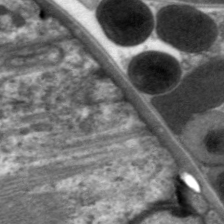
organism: C. elegans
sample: Pharynx